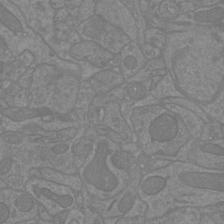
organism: Mouse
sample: Cortical neurons